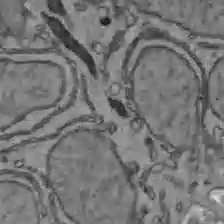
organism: C57BL Mouse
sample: Liver